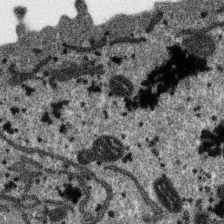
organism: Human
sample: Lung epithelial cells infected with SARS-CoV-2